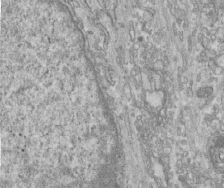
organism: Human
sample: Centriole in fibroblast cells